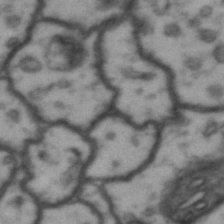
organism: Drosophila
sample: Brain